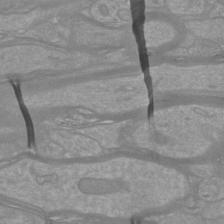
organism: Mouse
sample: Cortical neurons